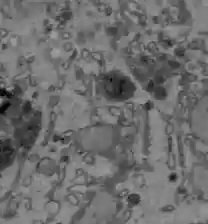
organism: C57BL Mouse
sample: Liver